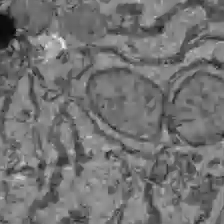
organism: C57BL Mouse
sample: Liver